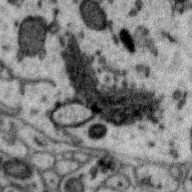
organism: Zebra finch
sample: Brain